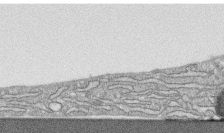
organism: Human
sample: CRL-1474